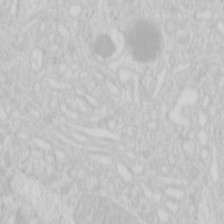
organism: Mouse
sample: Pancreas